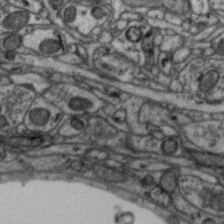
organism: Zebra finch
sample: Brain